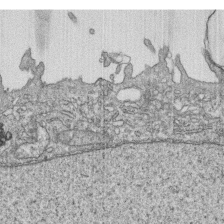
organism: Human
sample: HeLa cell HIV synapse